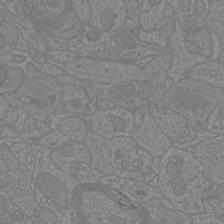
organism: Mouse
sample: Cortical neurons